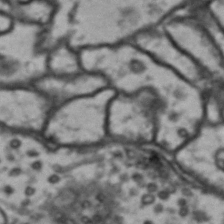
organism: Drosophila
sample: Brain